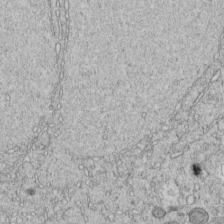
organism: C. elegans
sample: C. elegans embryo early stage